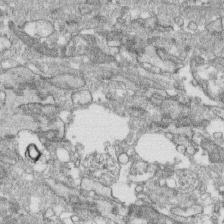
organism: Human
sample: CRL-1474